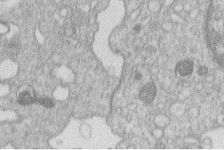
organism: Human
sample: Macrophage cells